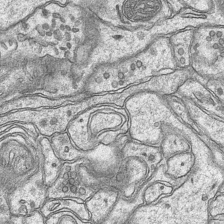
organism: Mouse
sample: CA1 Hippocampus